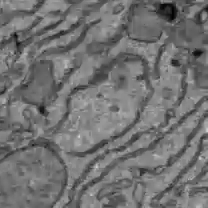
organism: C57BL Mouse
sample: Liver